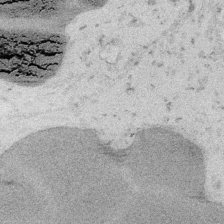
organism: Embia sp.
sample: Silk gland